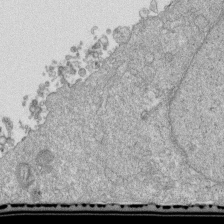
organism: Human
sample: HeLa cell HIV synapse